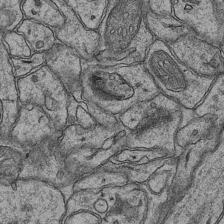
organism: Mouse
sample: CA1 Hippocampus